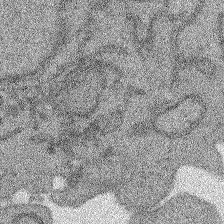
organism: Human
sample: HeLa cells